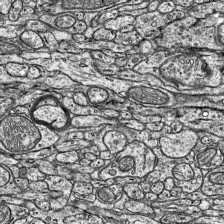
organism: Mouse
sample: Visual Cortex